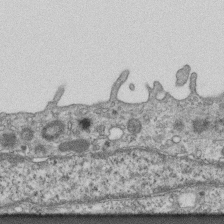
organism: Mouse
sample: Centriole in ependymal cells